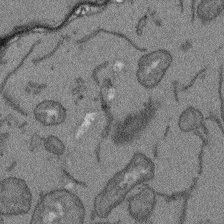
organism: Arabidopsis thaliana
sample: Root tip